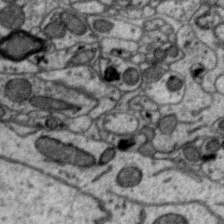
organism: Zebra finch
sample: Brain